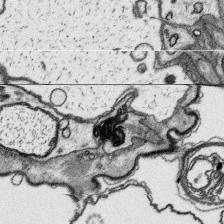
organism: Platynereis dumerilii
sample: Parapodia